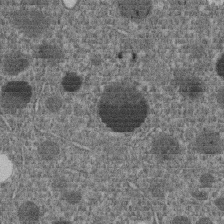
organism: C. elegans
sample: C. elegans embryo early stage